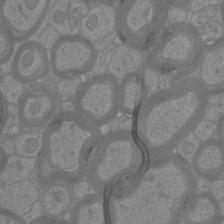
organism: Mouse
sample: Cortical neurons